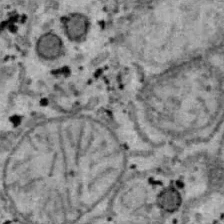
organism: Mouse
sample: Liver from an obese (ob/ob) mouse